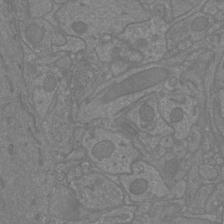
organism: Mouse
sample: Cortical neurons